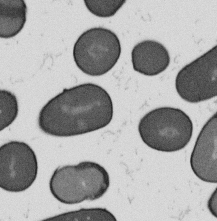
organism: B. subtilis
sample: Bacterial spore